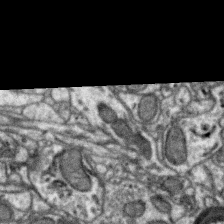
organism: Zebra finch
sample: Brain